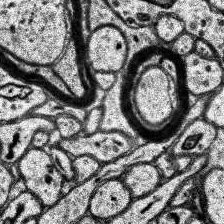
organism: Human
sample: Temporal Lobe